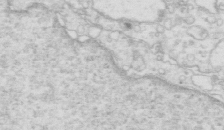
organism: Mouse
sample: Multiciliated cells